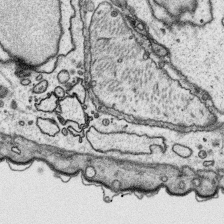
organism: Platynereis dumerilii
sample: Parapodia